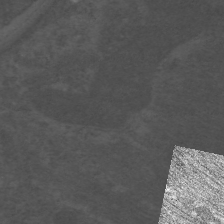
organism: C. elegans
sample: Pharynx